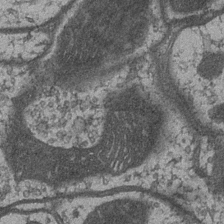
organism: Drosophila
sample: Optic medulla